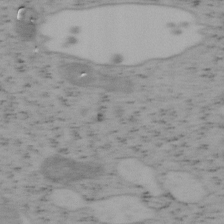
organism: Mouse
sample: OT-I killer T cells with ID8 ovarian cancer cells